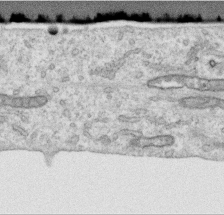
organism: Human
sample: Centriole in RPE cells